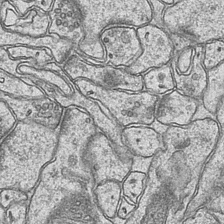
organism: Mouse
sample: CA1 Hippocampus